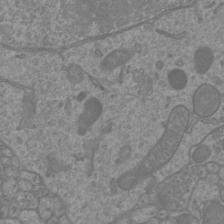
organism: Mouse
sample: Cortical neurons